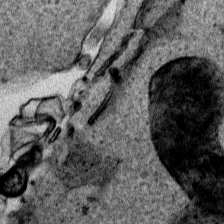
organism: Human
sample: Mitochondria in HCT116 cells